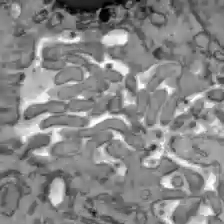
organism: C57BL Mouse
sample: Liver